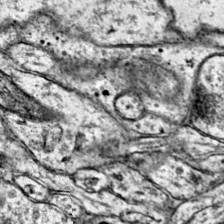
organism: Mouse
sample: Primary visual cortex